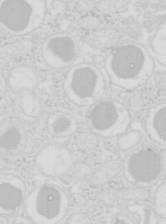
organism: Mouse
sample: Pancreas